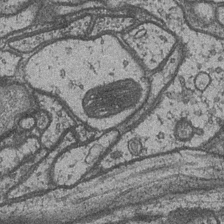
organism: Drosophila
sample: Optic medulla